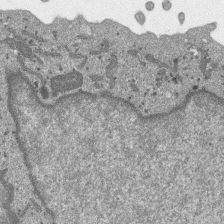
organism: Human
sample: Lung epithelial cells infected with SARS-CoV-2